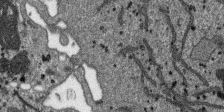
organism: Human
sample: Lung epithelial cells infected with SARS-CoV-2